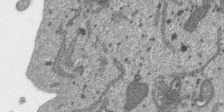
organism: Human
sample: Lung epithelial cells infected with SARS-CoV-2